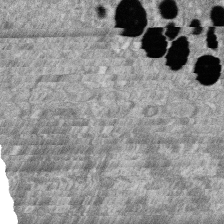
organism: Zebrafish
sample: Cilia; retinal pigment epithelium